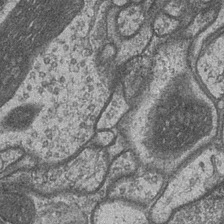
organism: Drosophila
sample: Optic medulla